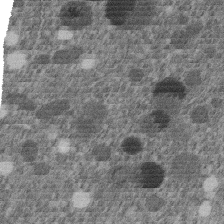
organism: C. elegans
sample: C. elegans embryo early stage